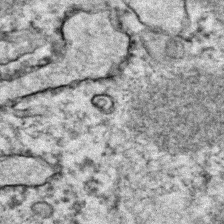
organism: Zebrafish